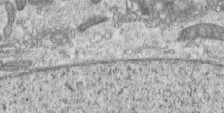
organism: Human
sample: Centriole in RPE cells